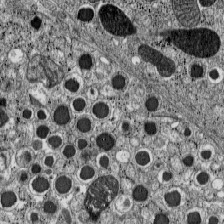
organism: C57BL Mouse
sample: Pancreatic islet